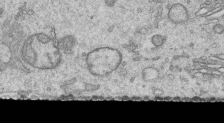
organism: Human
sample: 1205lu cells